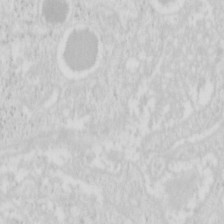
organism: Mouse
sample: Pancreas